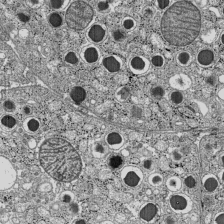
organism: C57BL Mouse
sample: Pancreatic islet